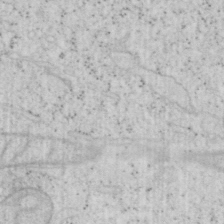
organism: Human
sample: HeLa cells